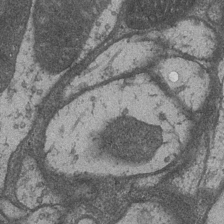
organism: Drosophila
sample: Optic medulla